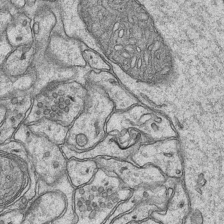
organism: Mouse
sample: CA1 Hippocampus